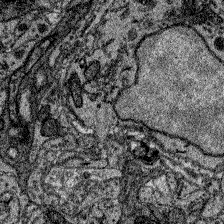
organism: Zebrafish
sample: Larval olfactory bulb